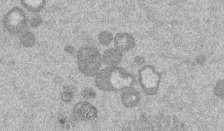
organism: Mouse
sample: Dividing mouse embryo 1 cell stage